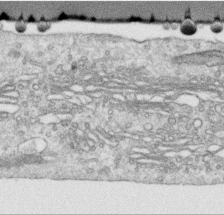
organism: Human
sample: Centriole in RPE cells